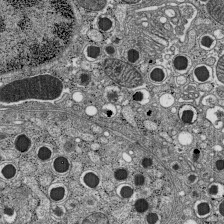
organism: C57BL Mouse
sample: Pancreatic islet